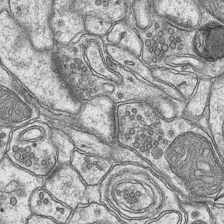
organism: Mouse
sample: CA1 Hippocampus